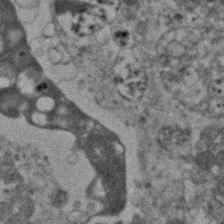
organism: Human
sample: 1205lu cells